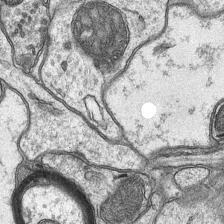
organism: Mouse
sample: CA1 Hippocampus